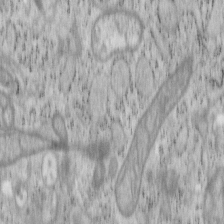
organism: Human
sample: HeLa cells